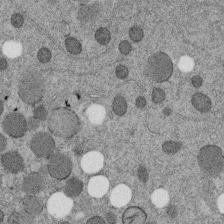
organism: C. elegans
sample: C. elegans embryo early stage